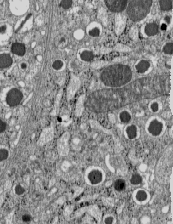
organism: C57BL Mouse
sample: Pancreatic islet